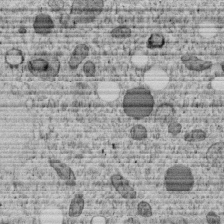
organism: C. elegans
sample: C. elegans embryo early stage